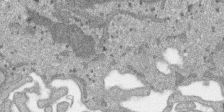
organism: Human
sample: Lung epithelial cells infected with SARS-CoV-2